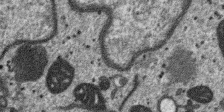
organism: Human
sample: Lung epithelial cells infected with SARS-CoV-2